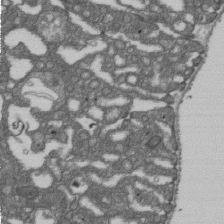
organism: Drosophila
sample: Nephrocyte